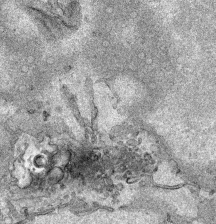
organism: Human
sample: Mitochondria in HCT116 cells